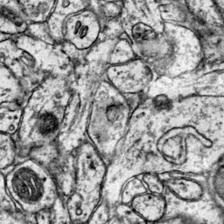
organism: Mouse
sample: Primary visual cortex